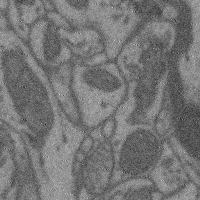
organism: Mouse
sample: Cerebral cortex